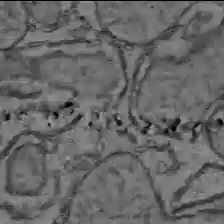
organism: C57BL Mouse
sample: Liver